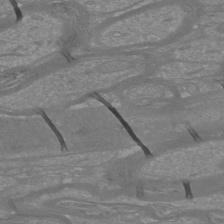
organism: Mouse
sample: Cortical neurons